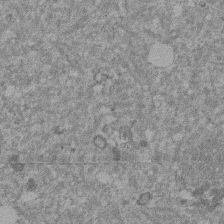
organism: Mouse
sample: Dividing mouse embryo 1 cell stage